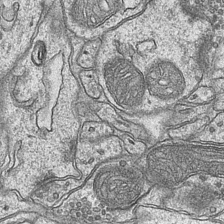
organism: Mouse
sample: CA1 Hippocampus